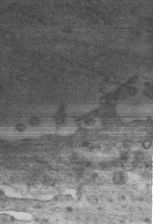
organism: Mouse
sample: Centriole in ependymal cells